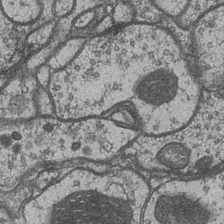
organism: Drosophila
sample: Optic medulla